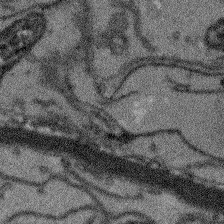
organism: Arabidopsis thaliana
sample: Root tip